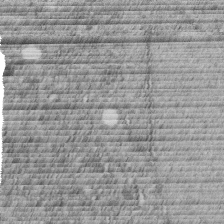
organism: C. elegans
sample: C. elegans embryo early stage